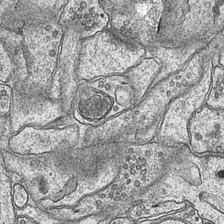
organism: Mouse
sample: CA1 Hippocampus